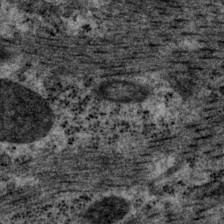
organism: P. pacificus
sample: Pharynx